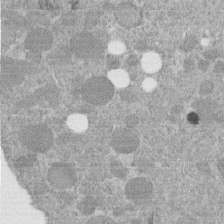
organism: C. elegans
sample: C. elegans embryo early stage